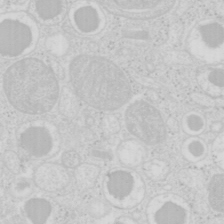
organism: Mouse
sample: Pancreas